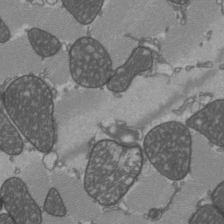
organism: C57BL Mouse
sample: Heart